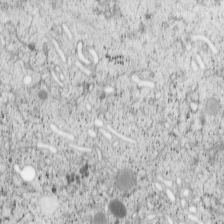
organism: African green monkey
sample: COS-7 cells